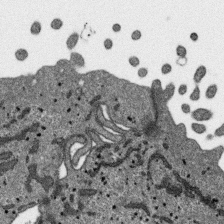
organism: Human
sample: Lung epithelial cells, uninfected (mock) control